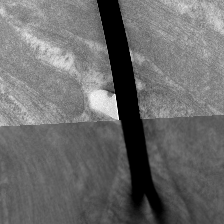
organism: C. elegans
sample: Pharynx